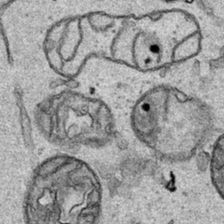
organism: Human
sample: Mitochondria in HCT116 cells